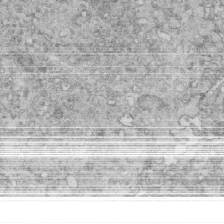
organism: Mouse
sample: Multiciliated cells